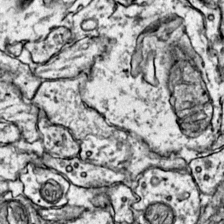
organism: Mouse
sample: Primary visual cortex